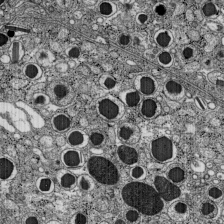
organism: C57BL Mouse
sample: Pancreatic islet